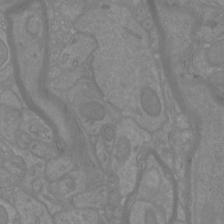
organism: Mouse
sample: Cortical neurons